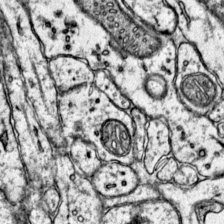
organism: Mouse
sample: Primary visual cortex